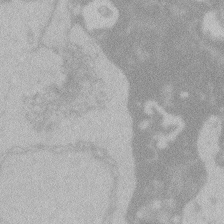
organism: Zebrafish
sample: Macrophage infected with Toxoplasma gondii